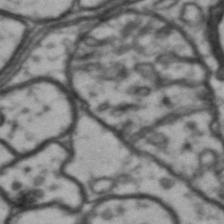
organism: Drosophila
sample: Brain